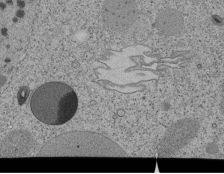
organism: Tetrahymena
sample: Cilia in tetrahymena